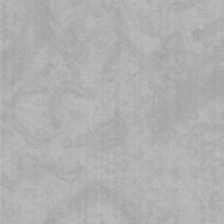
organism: Mouse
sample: Choroid plexus